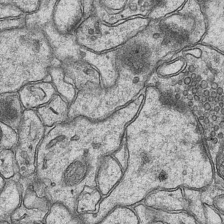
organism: Mouse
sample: CA1 Hippocampus